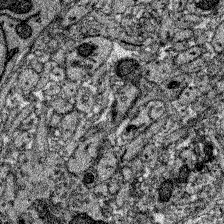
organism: Zebrafish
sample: Larval olfactory bulb